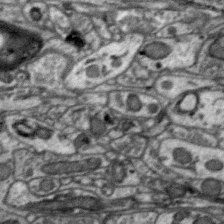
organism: Zebra finch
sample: Brain